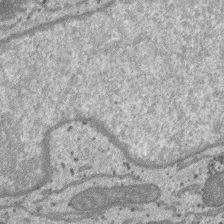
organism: Human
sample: Lung epithelial cells infected with SARS-CoV-2